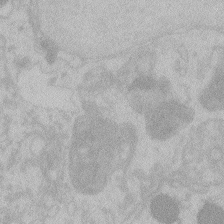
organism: Zebrafish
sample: Macrophage infected with Toxoplasma gondii